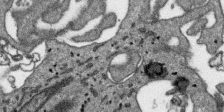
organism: Human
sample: Lung epithelial cells, uninfected (mock) control